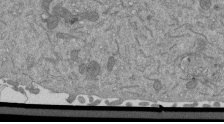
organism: Mouse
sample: ED-1 cell nuclei; centrioles